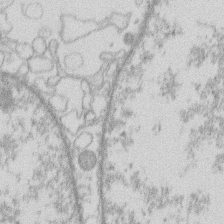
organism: Human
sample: Macrophage cells